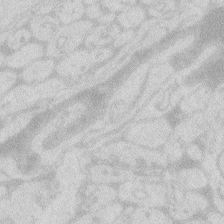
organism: Zebrafish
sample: Macrophage